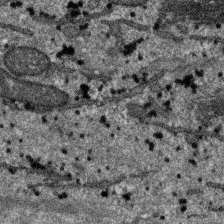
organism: Human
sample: Lung epithelial cells infected with SARS-CoV-2